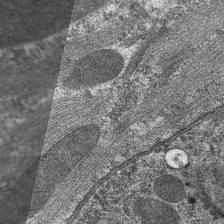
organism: C. elegans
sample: Pharynx